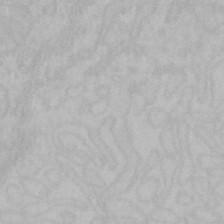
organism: Mouse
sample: Choroid plexus